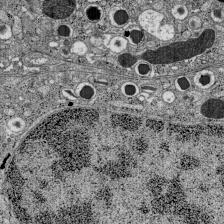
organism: C57BL Mouse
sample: Pancreatic islet